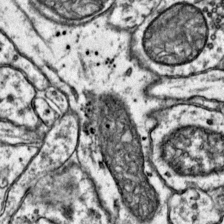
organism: Mouse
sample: Primary visual cortex